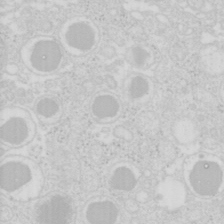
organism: Mouse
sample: Pancreas